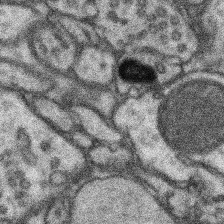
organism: Mouse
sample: Somatosensory cortex neuropil